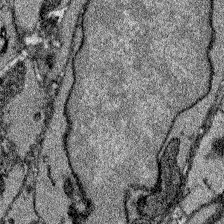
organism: Zebrafish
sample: Larval olfactory bulb